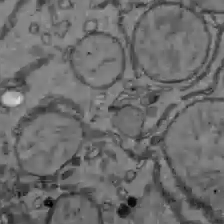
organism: C57BL Mouse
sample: Liver